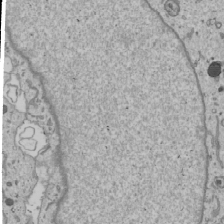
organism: Human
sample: Mitochondria in U2OS cells